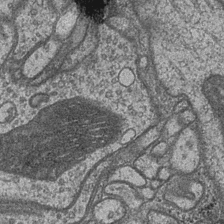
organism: Drosophila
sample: Optic medulla